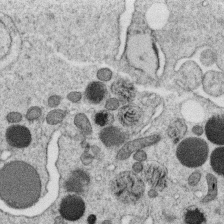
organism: C. elegans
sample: C. elegans oocyte; sperm cells